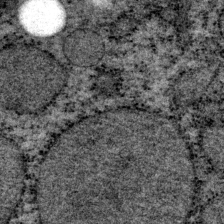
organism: P. pacificus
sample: Pharynx